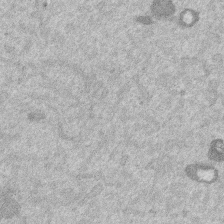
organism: Mouse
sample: Dividing mouse embryo 1 cell stage